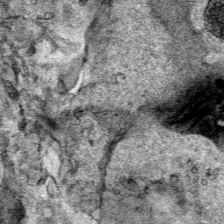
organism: Human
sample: Mitochondria in HCT116 cells